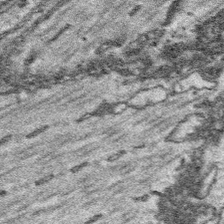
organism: Platynereis dumerilii